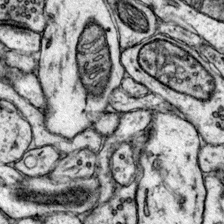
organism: Mouse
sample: Primary visual cortex